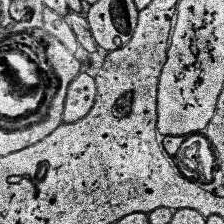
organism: Human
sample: Temporal Lobe